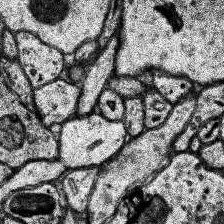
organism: Human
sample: Temporal Lobe